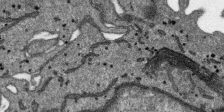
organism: Human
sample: Lung epithelial cells, uninfected (mock) control